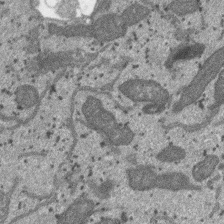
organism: Human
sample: Lung epithelial cells infected with SARS-CoV-2